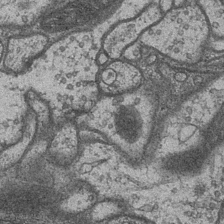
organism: Drosophila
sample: Optic medulla